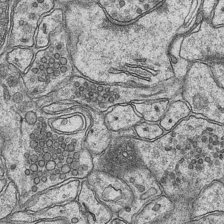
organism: Mouse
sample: CA1 Hippocampus